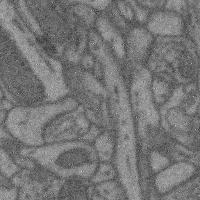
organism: Mouse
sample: Cerebral cortex